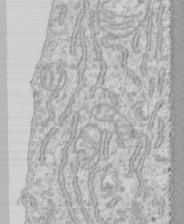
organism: Human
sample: CRL-1474